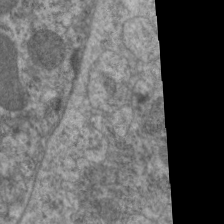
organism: C. elegans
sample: Pharynx